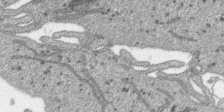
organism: Human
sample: Lung epithelial cells infected with SARS-CoV-2